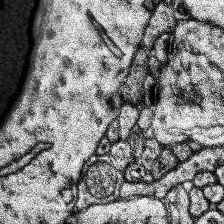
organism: Human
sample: Temporal Lobe